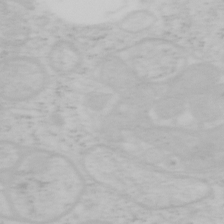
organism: Mouse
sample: OT-I killer T cells with ID8 ovarian cancer cells